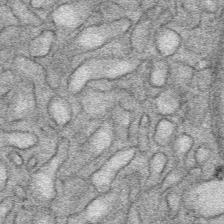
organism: Mouse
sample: Mouse Salivary gland